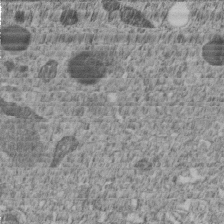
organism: C. elegans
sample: C. elegans embryo early stage